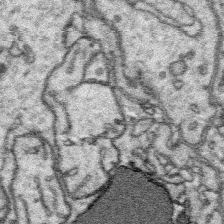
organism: Platynereis dumerilii